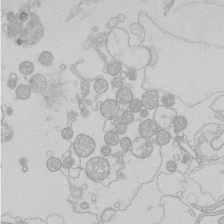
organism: Human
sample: Macrophage cells